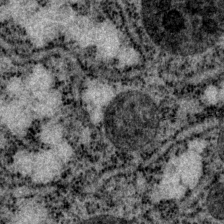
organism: P. pacificus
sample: Pharynx